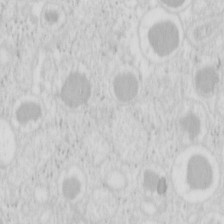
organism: Mouse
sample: Pancreas